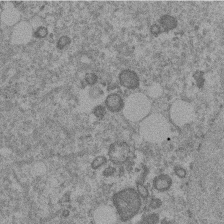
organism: Mouse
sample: Dividing mouse embryo 1 cell stage